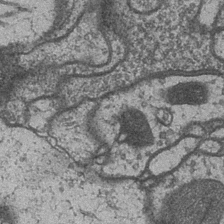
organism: Drosophila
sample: Optic medulla